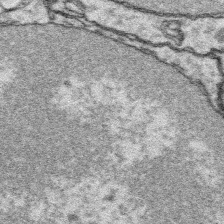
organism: Platynereis dumerilii